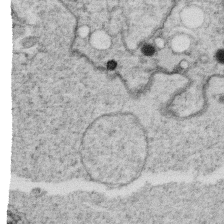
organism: C. elegans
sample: C. elegans oocyte; sperm cells